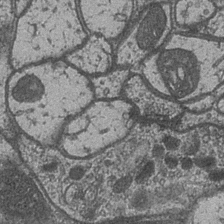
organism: Drosophila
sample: Optic medulla